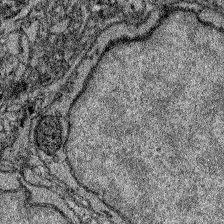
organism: Zebrafish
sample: Larval olfactory bulb